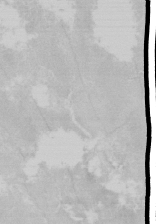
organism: Human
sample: Mitochondria in HCT116 cells